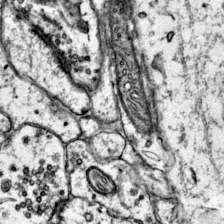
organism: Mouse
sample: Primary visual cortex